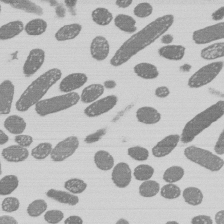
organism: E. coli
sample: Bacterial nucleoid